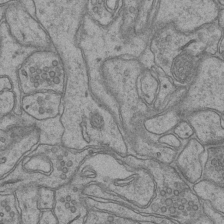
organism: Mouse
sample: CA1 Hippocampus